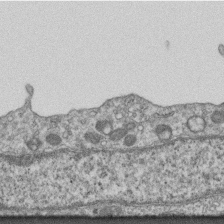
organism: Mouse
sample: Centriole in ependymal cells